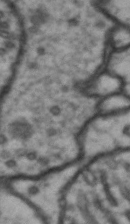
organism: Drosophila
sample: Brain